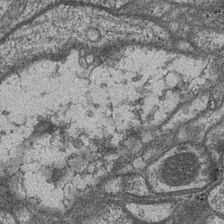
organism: Drosophila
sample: Optic medulla